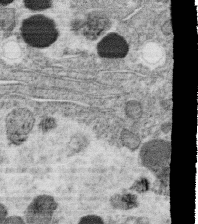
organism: C. elegans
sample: C. elegans oocyte; sperm cells